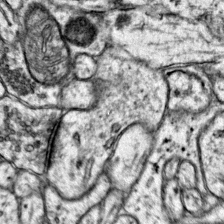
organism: Mouse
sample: Primary visual cortex